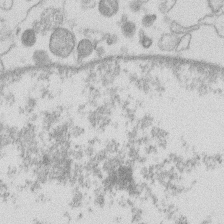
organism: Human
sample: Macrophage cells